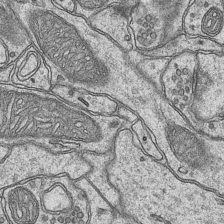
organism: Mouse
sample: CA1 Hippocampus